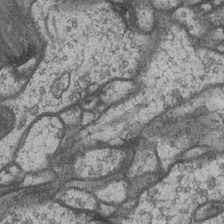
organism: Drosophila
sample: Optic medulla